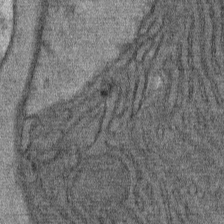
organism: Mouse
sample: Mouse Salivary gland